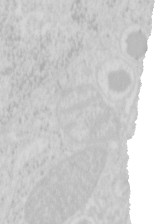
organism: Mouse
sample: Pancreas